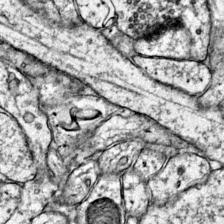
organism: Mouse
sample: Primary visual cortex